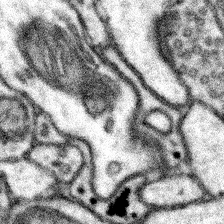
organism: Mouse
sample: Somatosensory cortex neuropil